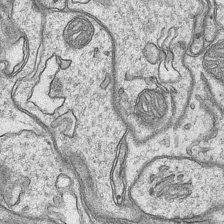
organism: Mouse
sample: CA1 Hippocampus